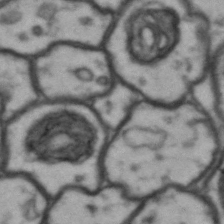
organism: Drosophila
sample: Brain